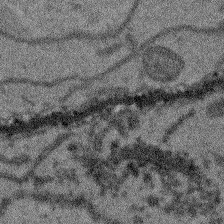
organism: Arabidopsis thaliana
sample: Root tip